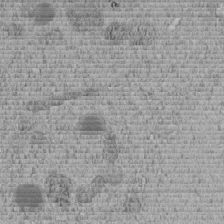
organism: C. elegans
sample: C. elegans embryo early stage